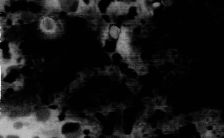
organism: Human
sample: U2-OS cells